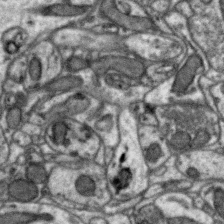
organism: Zebra finch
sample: Brain